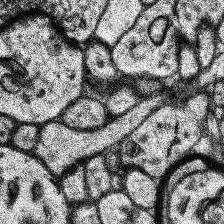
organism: Human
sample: Temporal Lobe